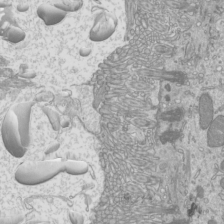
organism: Mouse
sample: Cilia; mouse epididymis